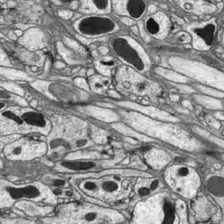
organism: Drosophila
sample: Optic lobe